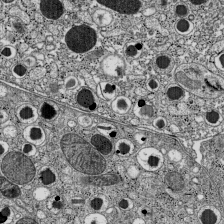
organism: C57BL Mouse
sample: Pancreatic islet